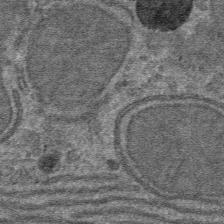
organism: Mouse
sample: Mouse hepatocytes